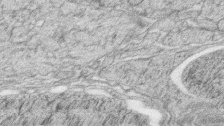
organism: Zebrafish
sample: synaptic ribbons in rod cells and cone cells